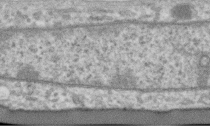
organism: Human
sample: Centriole in RPE cells